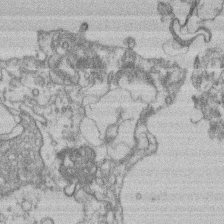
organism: Mouse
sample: T cell stromal cell synapse